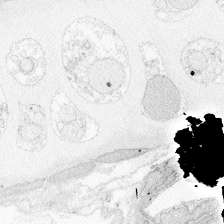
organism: Zebrafish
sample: Whole-Brain